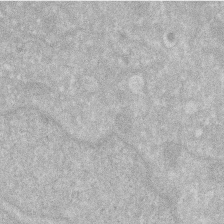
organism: Human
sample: HIV infected U937 cells